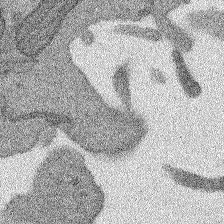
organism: Human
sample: HeLa cells